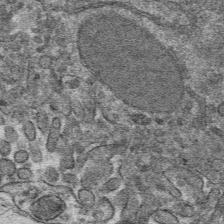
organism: Mouse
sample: Mouse hepatocytes